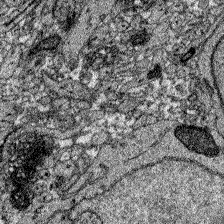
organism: Zebrafish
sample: Larval olfactory bulb